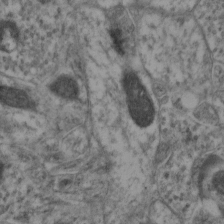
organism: Mouse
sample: Neocortex